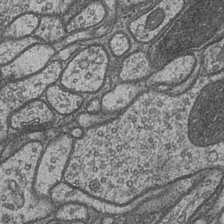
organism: Drosophila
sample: Optic medulla